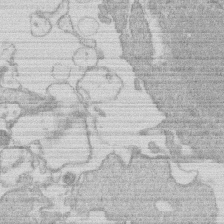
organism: Human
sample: Macrophage cells